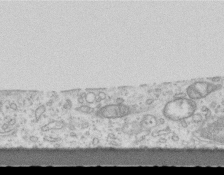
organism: Mouse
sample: Centriole in ependymal cells